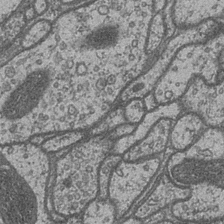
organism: Drosophila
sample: Optic medulla